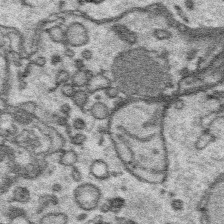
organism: Platynereis dumerilii